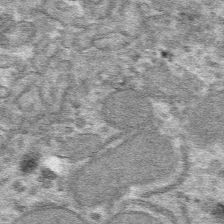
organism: Mouse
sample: Mouse hepatocytes